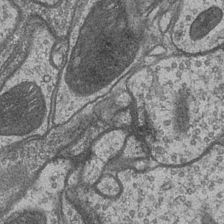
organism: Drosophila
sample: Optic medulla